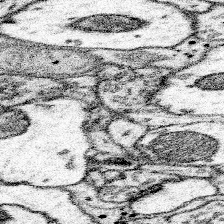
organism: Mouse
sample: Somatosensory cortex neuropil